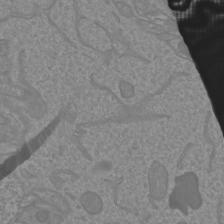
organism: Mouse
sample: Cortical neurons